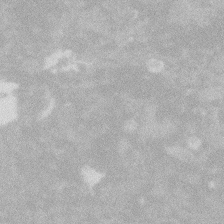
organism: Zebrafish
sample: Macrophage